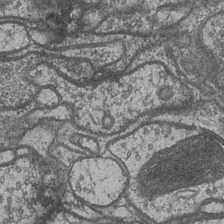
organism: Drosophila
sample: Optic medulla